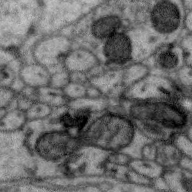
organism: Zebra finch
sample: Brain